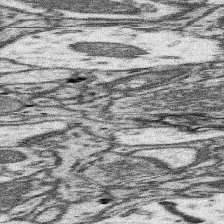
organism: Mouse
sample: Somatosensory cortex neuropil